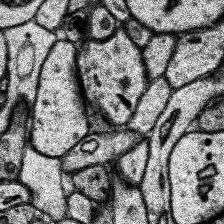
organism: Human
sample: Temporal Lobe